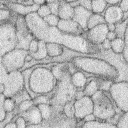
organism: Rabbit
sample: Retina